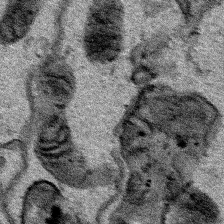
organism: Human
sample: Mitochondria in HCT116 cells